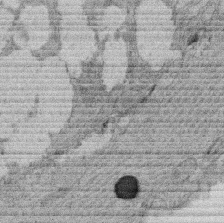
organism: Rat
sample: Salivary granule